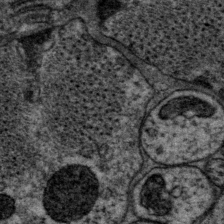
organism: P. pacificus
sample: Pharynx